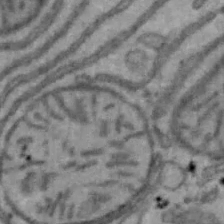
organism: Mouse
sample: Liver